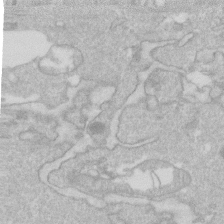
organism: Human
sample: Fibroblast cells